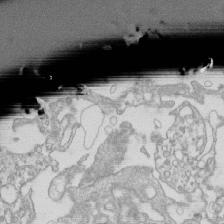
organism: Mouse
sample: Macrophages